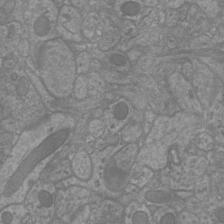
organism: Mouse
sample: Cortical neurons